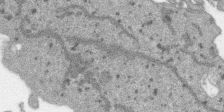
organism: Human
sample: Lung epithelial cells infected with SARS-CoV-2